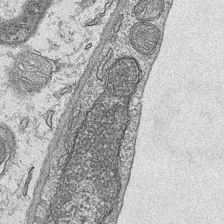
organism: Mouse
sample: CA1 Hippocampus